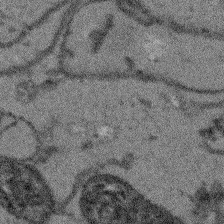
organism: Arabidopsis thaliana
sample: Root tip